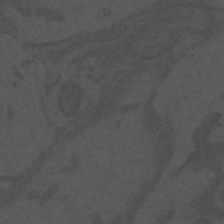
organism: Mouse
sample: Suprachiasmatic nucleus